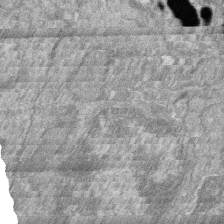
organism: Zebrafish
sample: Cilia; retinal pigment epithelium